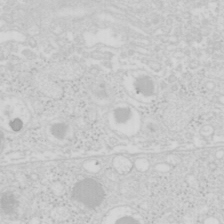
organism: Mouse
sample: Pancreas